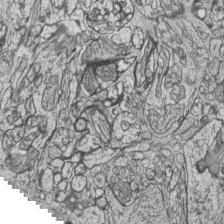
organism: Zebrafish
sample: synaptic ribbons in rod cells and cone cells